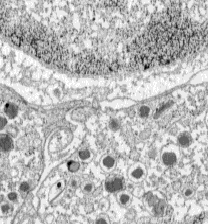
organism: C57BL Mouse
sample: Pancreatic islet